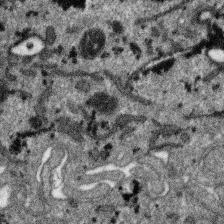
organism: Human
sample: Lung epithelial cells infected with SARS-CoV-2